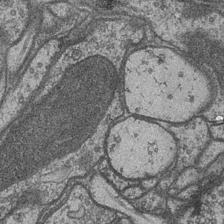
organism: Drosophila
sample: Optic medulla